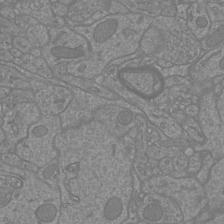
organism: Mouse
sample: Cortical neurons